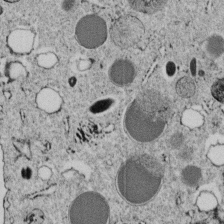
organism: C. elegans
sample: C. elegans embryo early stage